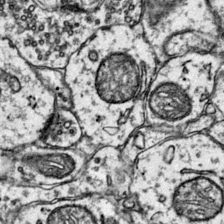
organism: Mouse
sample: Primary visual cortex